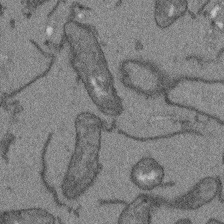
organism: Arabidopsis thaliana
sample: Root tip